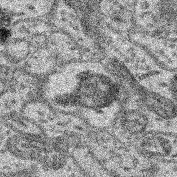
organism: Mouse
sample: Retina